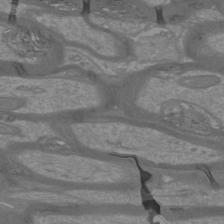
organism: Mouse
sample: Cortical neurons